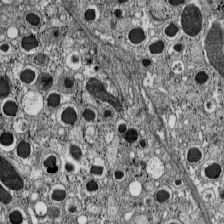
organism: C57BL Mouse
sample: Pancreatic islet